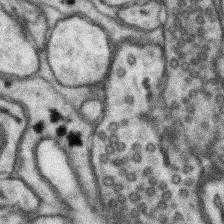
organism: Mouse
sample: Somatosensory cortex neuropil